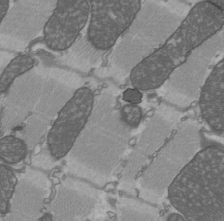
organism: C57BL Mouse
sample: Heart